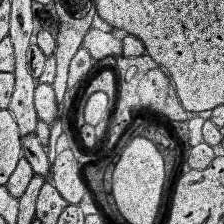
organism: Human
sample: Temporal Lobe